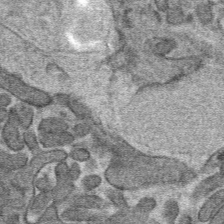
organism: Mouse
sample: Mouse hepatocytes